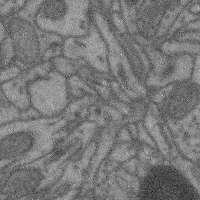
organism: Mouse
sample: Cerebral cortex